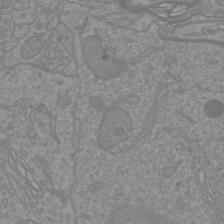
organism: Mouse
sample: Cortical neurons